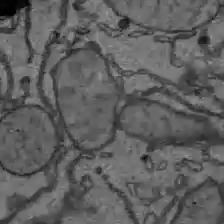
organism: C57BL Mouse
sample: Liver